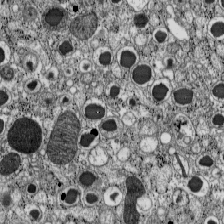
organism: C57BL Mouse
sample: Pancreatic islet